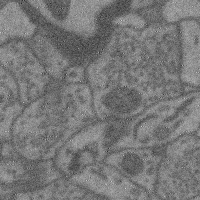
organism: Mouse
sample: Cerebral cortex